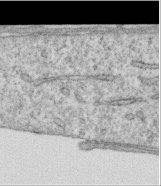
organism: Human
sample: Centriole in RPE cells